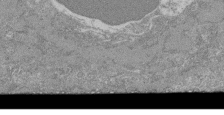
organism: Mouse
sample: Glomerulus